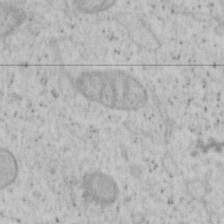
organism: Human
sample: HeLa cells